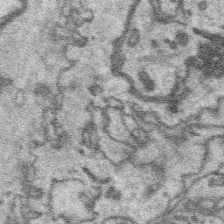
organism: Platynereis dumerilii